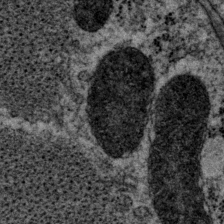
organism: P. pacificus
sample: Pharynx